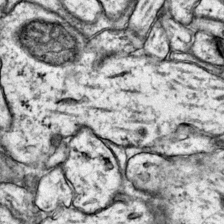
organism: Mouse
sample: Primary visual cortex